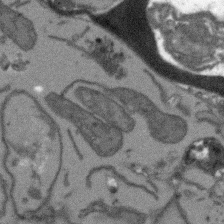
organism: Arabidopsis thaliana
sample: Root tip